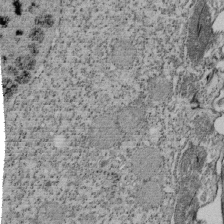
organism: Tetrahymena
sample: Cilia in tetrahymena